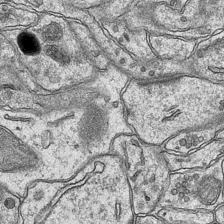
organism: Mouse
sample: CA1 Hippocampus